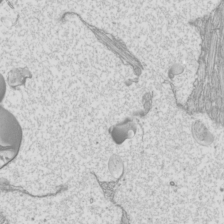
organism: Mouse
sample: Cilia; mouse epididymis